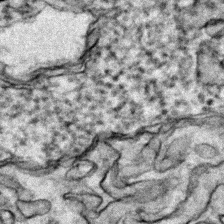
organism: Zebrafish